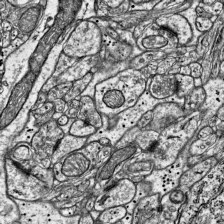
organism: Mouse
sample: Visual Cortex